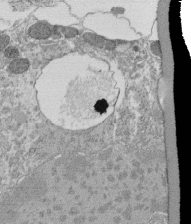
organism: Tetrahymena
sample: Cilia in tetrahymena